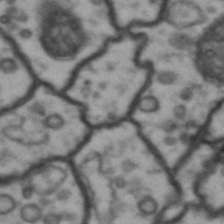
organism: Drosophila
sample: Brain